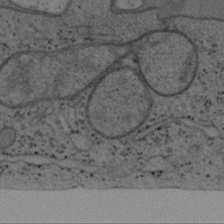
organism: Human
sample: HeLa cells